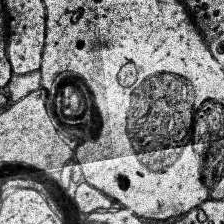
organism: Human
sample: Temporal Lobe